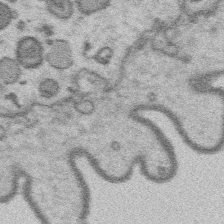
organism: Platynereis dumerilii